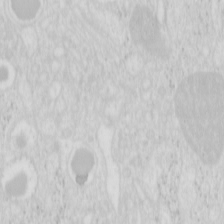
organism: Mouse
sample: Pancreas